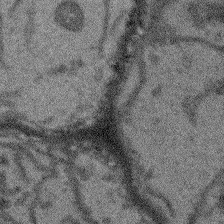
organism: Arabidopsis thaliana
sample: Root tip